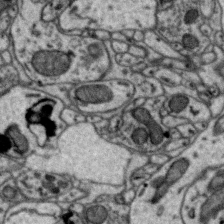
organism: Zebra finch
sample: Brain